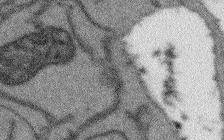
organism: Arabidopsis thaliana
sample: Root tip